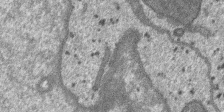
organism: Human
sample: Lung epithelial cells infected with SARS-CoV-2